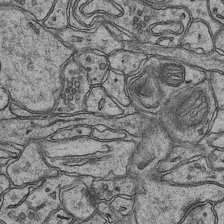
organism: Mouse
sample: CA1 Hippocampus